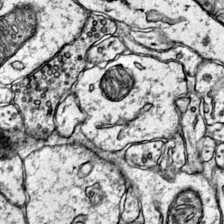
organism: Mouse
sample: Primary visual cortex